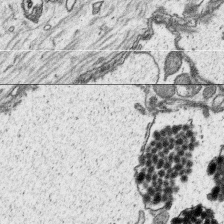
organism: Platynereis dumerilii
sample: Parapodia